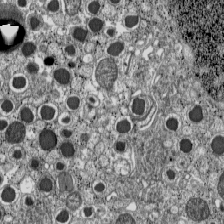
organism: C57BL Mouse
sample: Pancreatic islet